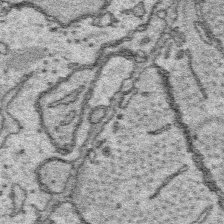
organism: Platynereis dumerilii